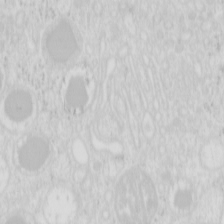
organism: Mouse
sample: Pancreas